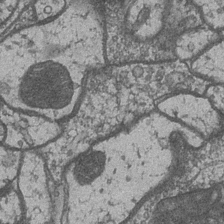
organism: Drosophila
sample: Optic medulla